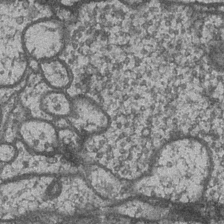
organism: Drosophila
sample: Optic medulla